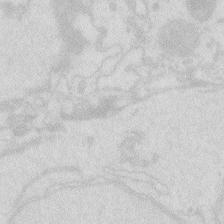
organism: Zebrafish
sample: Macrophage